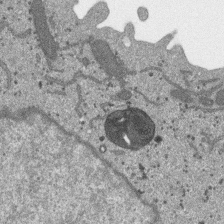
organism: Human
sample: Lung epithelial cells infected with SARS-CoV-2